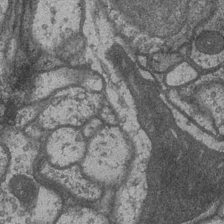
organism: Drosophila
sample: Optic medulla